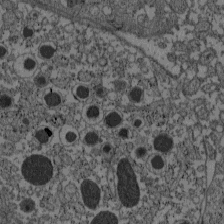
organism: C57BL Mouse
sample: Pancreatic islet